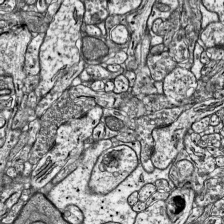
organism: Mouse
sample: Visual Cortex